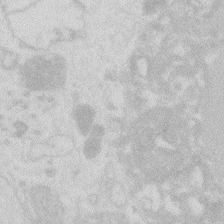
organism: Zebrafish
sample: Macrophage